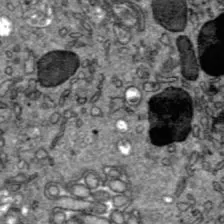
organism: C57BL Mouse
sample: Liver